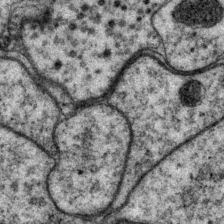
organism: P. pacificus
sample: Pharynx